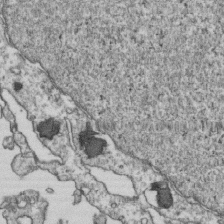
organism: Human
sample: Activated Jurkat CD4+ T cells